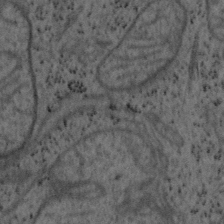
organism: Human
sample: HeLa cells